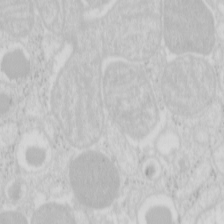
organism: Mouse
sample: Pancreas